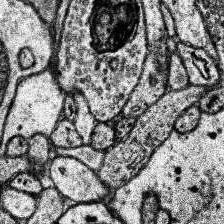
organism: Human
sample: Temporal Lobe